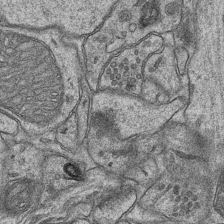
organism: Mouse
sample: CA1 Hippocampus